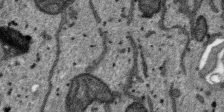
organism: Human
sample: Lung epithelial cells, uninfected (mock) control